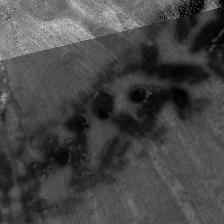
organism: C. elegans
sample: Pharynx